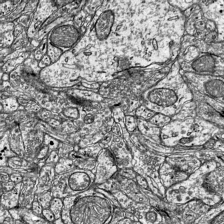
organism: Mouse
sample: Visual Cortex